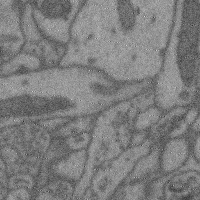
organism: Mouse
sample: Cerebral cortex